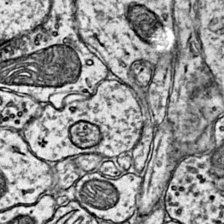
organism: Mouse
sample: Primary visual cortex